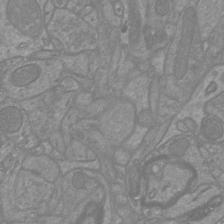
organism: Mouse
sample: Cortical neurons